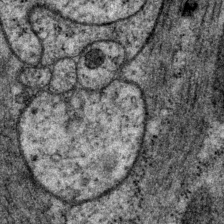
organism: P. pacificus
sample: Pharynx